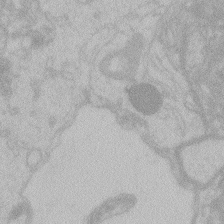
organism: Zebrafish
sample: Macrophage infected with Toxoplasma gondii